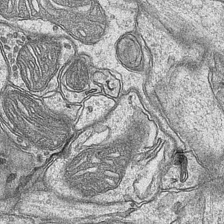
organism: Mouse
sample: CA1 Hippocampus